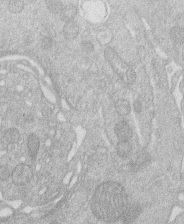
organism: Human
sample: Macrophage cells